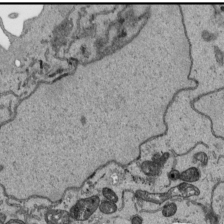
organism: Human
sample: Mitochondria in HCT116 cells